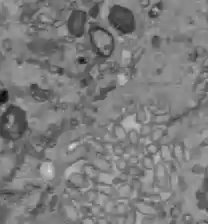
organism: C57BL Mouse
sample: Liver